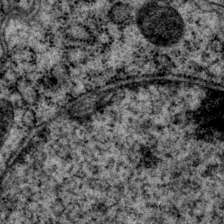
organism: P. pacificus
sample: Pharynx